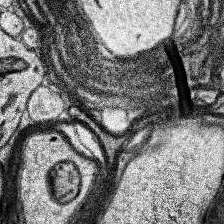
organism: Human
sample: Temporal Lobe